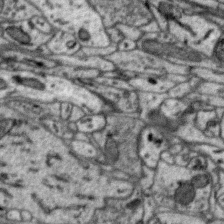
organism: Zebra finch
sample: Brain